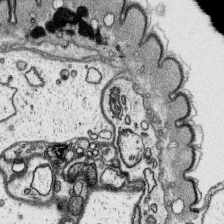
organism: Platynereis dumerilii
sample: Parapodia